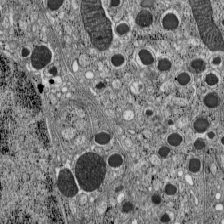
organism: C57BL Mouse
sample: Pancreatic islet